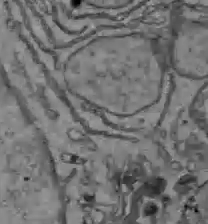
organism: C57BL Mouse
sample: Liver